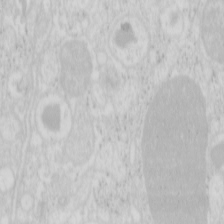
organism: Mouse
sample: Pancreas